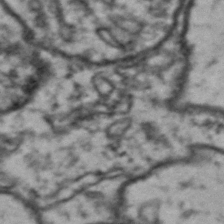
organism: Drosophila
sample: Brain